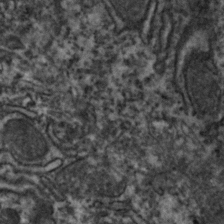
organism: Zebrafish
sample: Zebrafish embryo